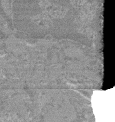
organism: Mouse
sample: Glomerulus